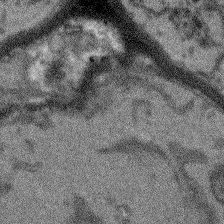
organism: Arabidopsis thaliana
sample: Root tip